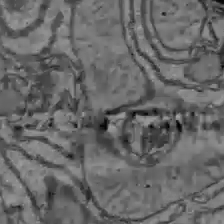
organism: C57BL Mouse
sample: Liver